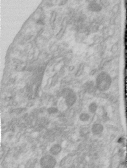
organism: Human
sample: Centriole in RPE cells